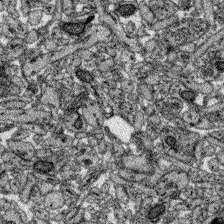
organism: Zebrafish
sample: Larval olfactory bulb